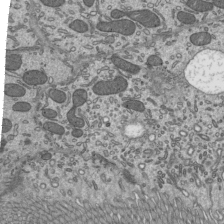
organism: Mouse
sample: Mouse epididymis efferent ductule cilia